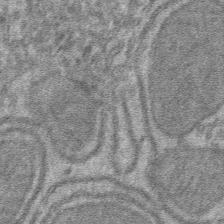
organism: Mouse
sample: Mouse hepatocytes